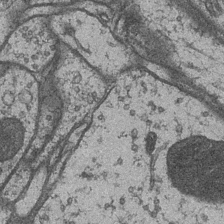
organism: Drosophila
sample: Optic medulla